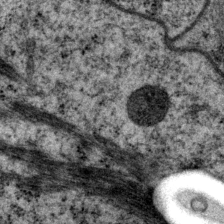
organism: P. pacificus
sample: Pharynx